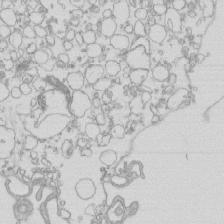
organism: Mouse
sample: Macrophages